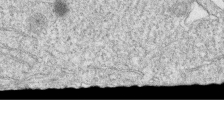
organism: Human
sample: HeLa cell HIV synapse